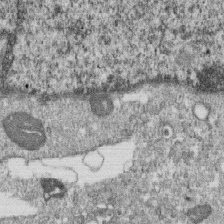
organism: African green monkey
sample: Vero E6 cells infected with SARS-CoV-2